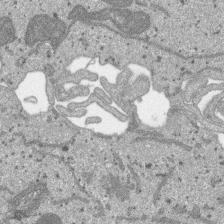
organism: Human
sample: Lung epithelial cells infected with SARS-CoV-2